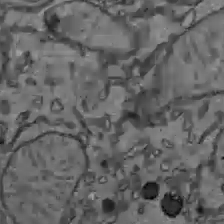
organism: C57BL Mouse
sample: Liver